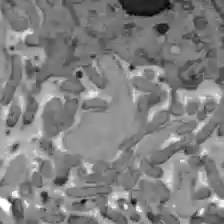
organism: C57BL Mouse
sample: Liver